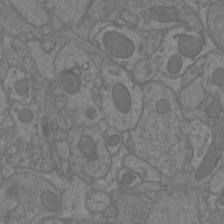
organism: Mouse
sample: Cortical neurons